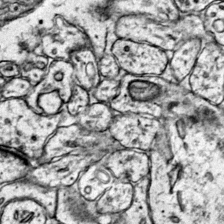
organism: Mouse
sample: Primary visual cortex